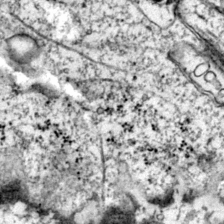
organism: Mouse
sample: Primary visual cortex